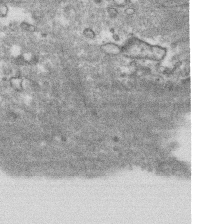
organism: Human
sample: CRL-1474